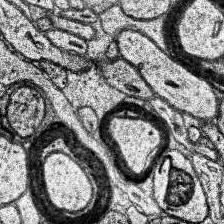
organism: Human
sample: Temporal Lobe